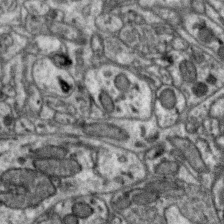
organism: Zebra finch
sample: Brain